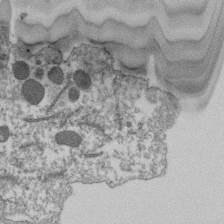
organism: Dictyostelium discoideum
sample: Dictyostelium multivesicular bodies